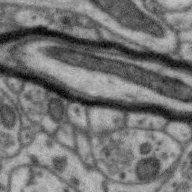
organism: Zebra finch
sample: Brain